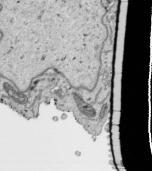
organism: Human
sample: Mitochondria in HCT116 cells